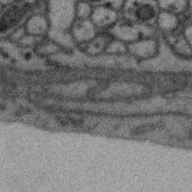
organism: Zebra finch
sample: Brain